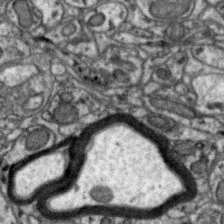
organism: Zebra finch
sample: Brain